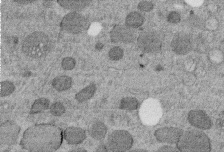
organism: C. elegans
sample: C. elegans embryo early stage